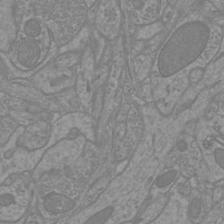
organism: Mouse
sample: Cortical neurons